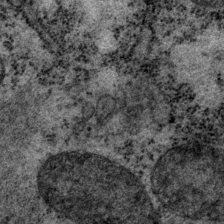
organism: P. pacificus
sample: Pharynx